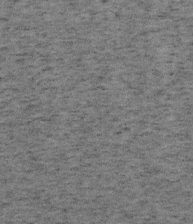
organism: Mouse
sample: OT-I killer T cells with ID8 ovarian cancer cells